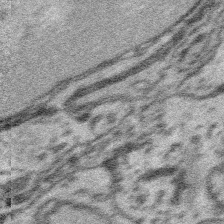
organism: Platynereis dumerilii